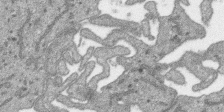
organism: Human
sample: Lung epithelial cells infected with SARS-CoV-2